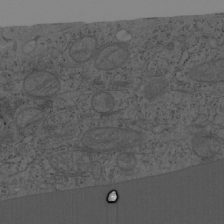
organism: Human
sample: HeLa cells